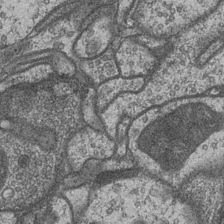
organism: Drosophila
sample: Optic medulla